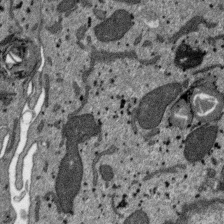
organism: Human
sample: Lung epithelial cells, uninfected (mock) control